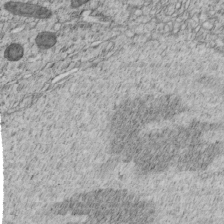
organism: C. elegans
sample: C. elegans embryo early stage